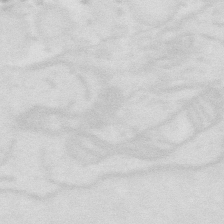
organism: Human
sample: HeLa cells